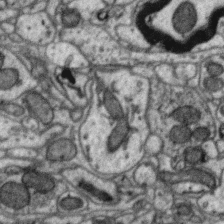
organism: Zebra finch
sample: Brain